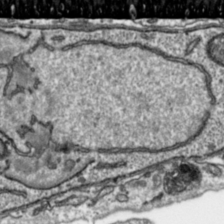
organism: Toxoplasma gondii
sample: Parasites in a vacuole inside a host cell